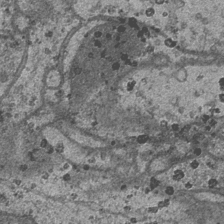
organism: Drosophila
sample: Optic medulla